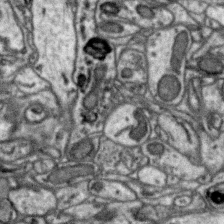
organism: Zebra finch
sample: Brain